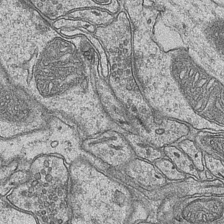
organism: Mouse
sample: CA1 Hippocampus